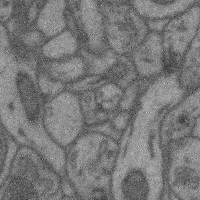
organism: Mouse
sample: Cerebral cortex